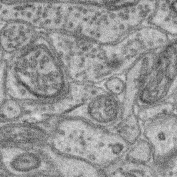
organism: Mouse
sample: Retina